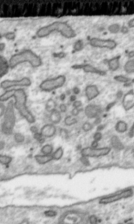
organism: Toxoplasma gondii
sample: Parasites in a vacuole inside a host cell